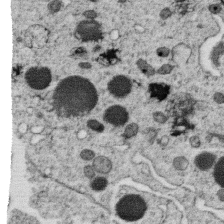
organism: C. elegans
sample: C. elegans oocyte; sperm cells